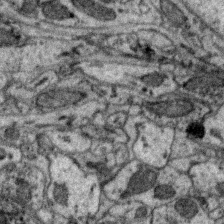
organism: Zebra finch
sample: Brain